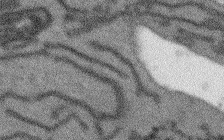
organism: Arabidopsis thaliana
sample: Root tip